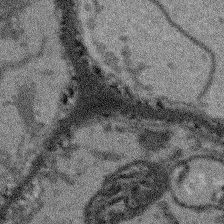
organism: Arabidopsis thaliana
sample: Root tip